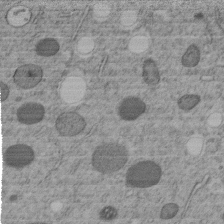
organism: C. elegans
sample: C. elegans embryo early stage